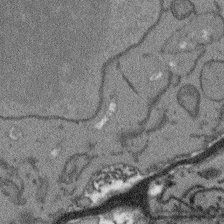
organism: Arabidopsis thaliana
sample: Root tip